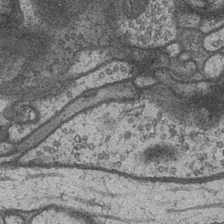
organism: Drosophila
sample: Optic medulla